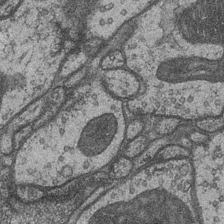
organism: Drosophila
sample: Optic medulla